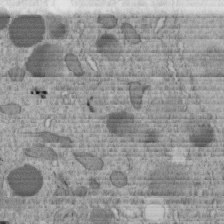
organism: C. elegans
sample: C. elegans embryo early stage